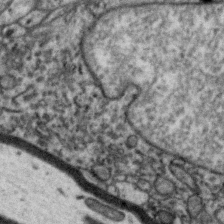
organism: Zebra finch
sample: Brain